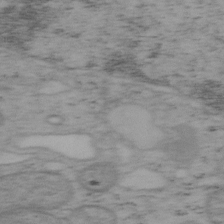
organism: Mouse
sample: OT-I killer T cells with ID8 ovarian cancer cells